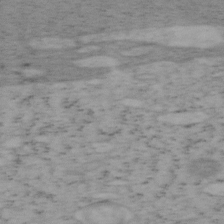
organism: Mouse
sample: OT-I killer T cells with ID8 ovarian cancer cells